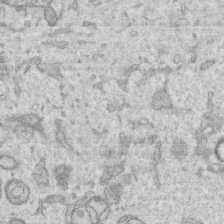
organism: Human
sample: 1205lu cells